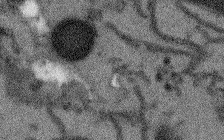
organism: Arabidopsis thaliana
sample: Root tip